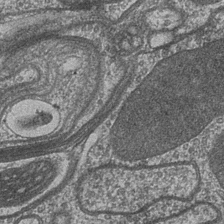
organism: Drosophila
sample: Optic medulla